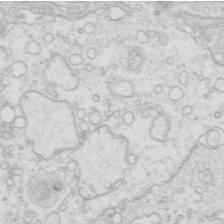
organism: Mouse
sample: Multiciliated cells